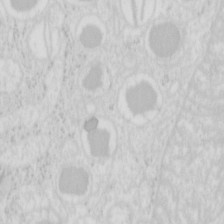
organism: Mouse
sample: Pancreas